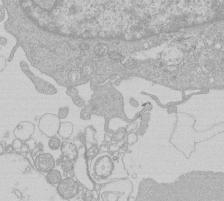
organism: Human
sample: Macrophage cells